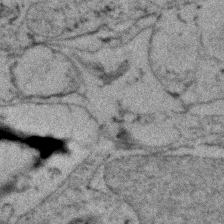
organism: Zebrafish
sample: Zebrafish embryo